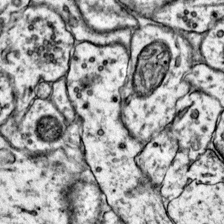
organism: Mouse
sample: Primary visual cortex